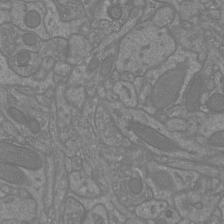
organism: Mouse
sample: Cortical neurons